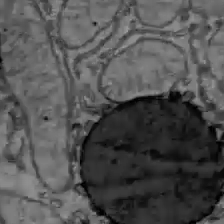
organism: C57BL Mouse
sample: Liver